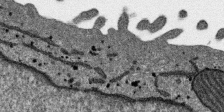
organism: Human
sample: Lung epithelial cells, uninfected (mock) control